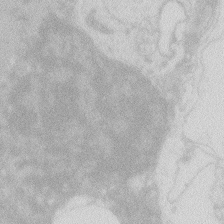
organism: Zebrafish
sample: Macrophage